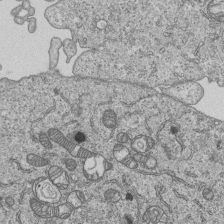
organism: Human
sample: MDA-MB-231 cells